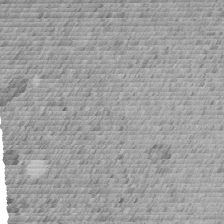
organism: C. elegans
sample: C. elegans embryo early stage